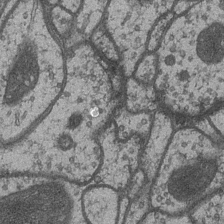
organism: Drosophila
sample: Optic medulla